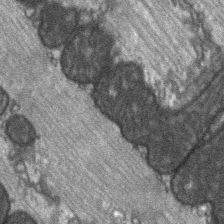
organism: C57BL Mouse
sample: Soleus